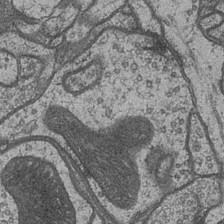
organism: Drosophila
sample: Optic medulla